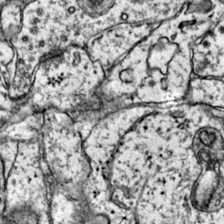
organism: Mouse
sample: Primary visual cortex